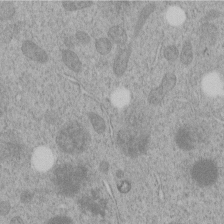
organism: C. elegans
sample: C. elegans embryo early stage